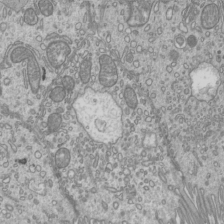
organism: Mouse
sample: Cilia; mouse epididymis